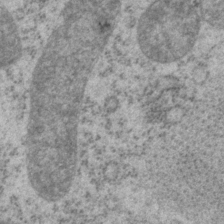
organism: P. pacificus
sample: Pharynx